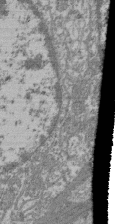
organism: Mouse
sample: Glomerulus